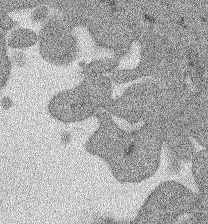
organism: Human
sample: HeLa cells